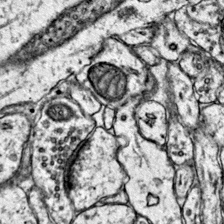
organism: Mouse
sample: Primary visual cortex